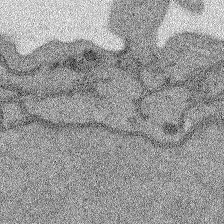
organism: Human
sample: HeLa cells